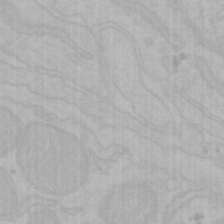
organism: Mouse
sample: Choroid plexus